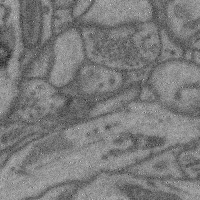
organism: Mouse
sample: Cerebral cortex